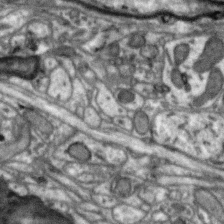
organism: Zebra finch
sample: Brain